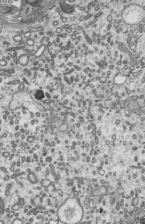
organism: Mouse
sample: Mouse epididymis efferent ductule cilia